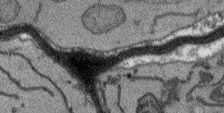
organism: Arabidopsis thaliana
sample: Root tip